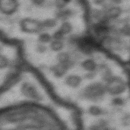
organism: Drosophila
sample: Brain